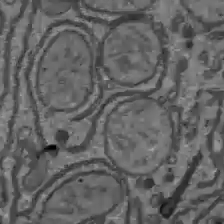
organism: C57BL Mouse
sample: Liver